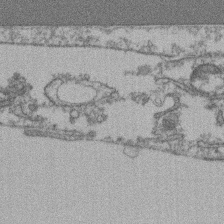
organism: Mouse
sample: T cell stromal cell synapse